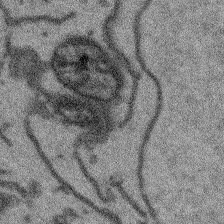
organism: Arabidopsis thaliana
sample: Root tip